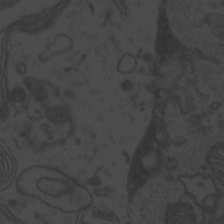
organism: Zebrafish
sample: Macrophage infected with Toxoplasma gondii